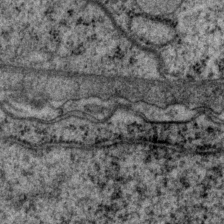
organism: P. pacificus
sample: Pharynx